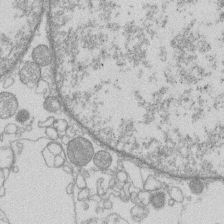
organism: Human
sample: Macrophage cells